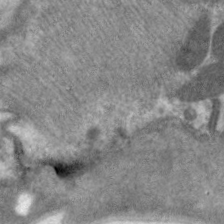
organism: C. elegans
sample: Pharynx